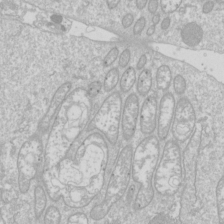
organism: Drosophila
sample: Cell division; meiosis; drosophila spermatocytes